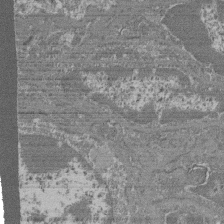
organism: Mouse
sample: Glomerulus